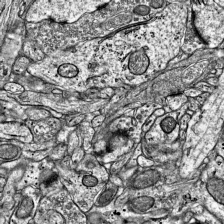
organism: Mouse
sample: Visual Cortex